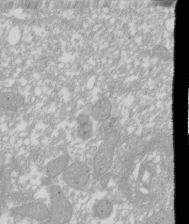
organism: Xenopus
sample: Cilia; centrioles in frog embryo cells